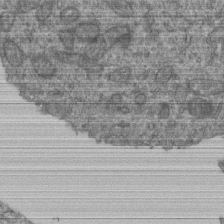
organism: Human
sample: Retinal organoid Rod and Cone cells